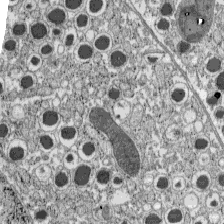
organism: C57BL Mouse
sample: Pancreatic islet